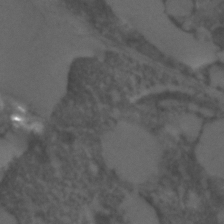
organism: C. elegans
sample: C. elegans embryo